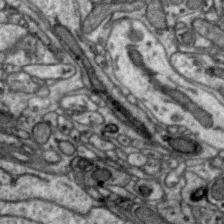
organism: Zebra finch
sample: Brain